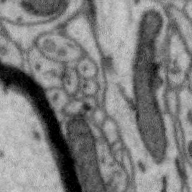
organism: Zebra finch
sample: Brain